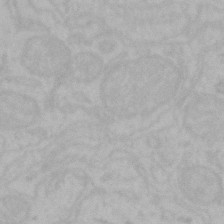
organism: Mouse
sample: Choroid plexus